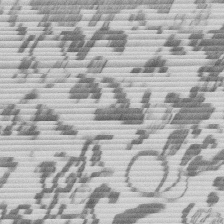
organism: Mouse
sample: Dividing mouse embryo 1 cell stage